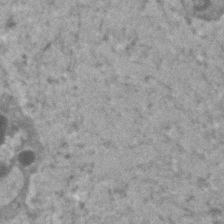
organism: Human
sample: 1205lu cells